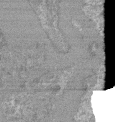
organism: Mouse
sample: Glomerulus